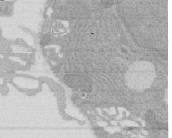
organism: Rat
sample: Salivary granule